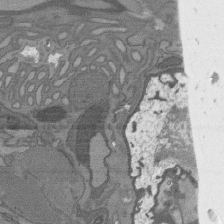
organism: C. elegans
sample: AFD neurons C. elegans